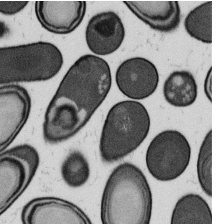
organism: B. subtilis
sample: Bacterial spore